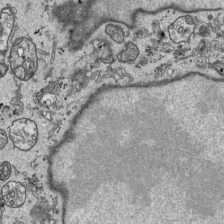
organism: Human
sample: Mitochondria in HCT116 cells